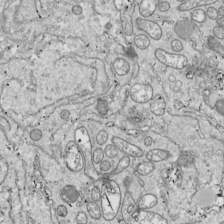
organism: Drosophila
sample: Cell division; meiosis; drosophila spermatocytes